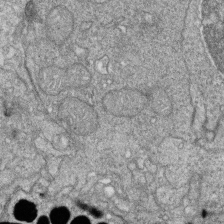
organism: Zebrafish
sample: Cilia; retinal pigment epithelium